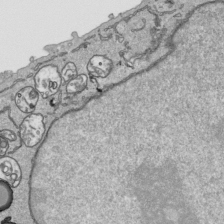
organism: Human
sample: Mitochondria in HCT116 cells